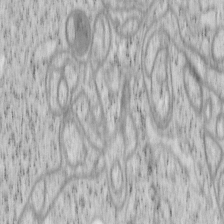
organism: Human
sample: HeLa cells